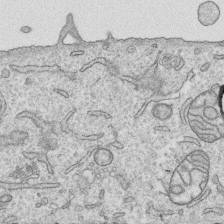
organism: Human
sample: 1205lu cells